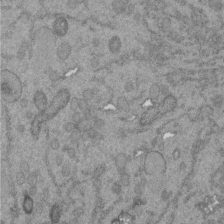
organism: C. elegans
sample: C. elegans embryo early stage